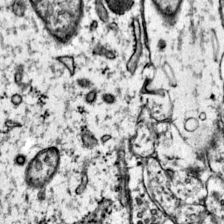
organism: Mouse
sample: Primary visual cortex